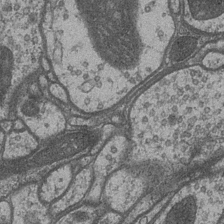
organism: Drosophila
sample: Optic medulla